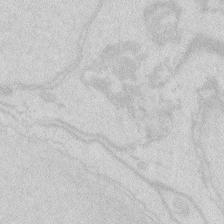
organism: Zebrafish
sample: Macrophage